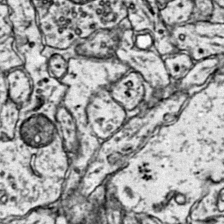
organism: Mouse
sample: Primary visual cortex